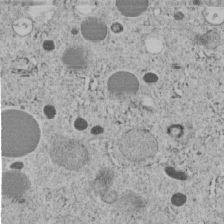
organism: C. elegans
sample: C. elegans embryo early stage